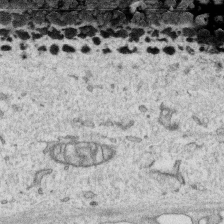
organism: Human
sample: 1205lu cells